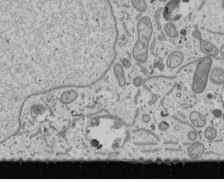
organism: Human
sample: Mitochondria in U2OS cells